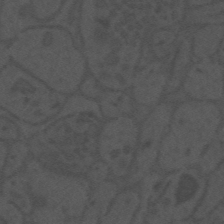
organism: Mouse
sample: Suprachiasmatic nucleus